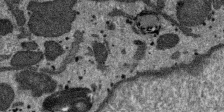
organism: Human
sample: Lung epithelial cells, uninfected (mock) control